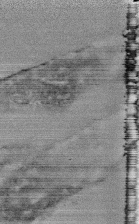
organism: Human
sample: CRL-1474